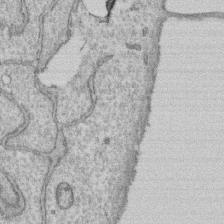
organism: Human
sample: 1205lu cells